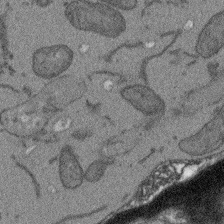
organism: Arabidopsis thaliana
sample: Root tip